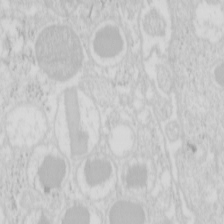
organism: Mouse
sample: Pancreas